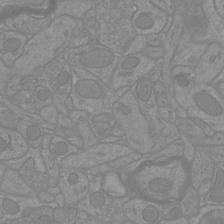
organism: Mouse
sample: Cortical neurons